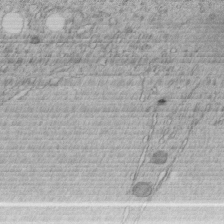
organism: C. elegans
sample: C. elegans embryo early stage